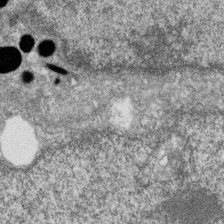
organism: Zebrafish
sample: Cilia; retinal pigment epithelium